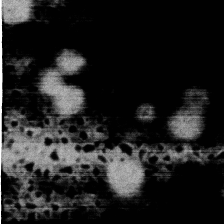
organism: Mouse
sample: Dividing mouse embryo 1 cell stage